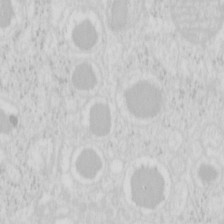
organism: Mouse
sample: Pancreas